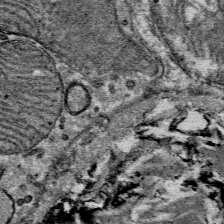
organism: Mouse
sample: Mouse Salivary gland